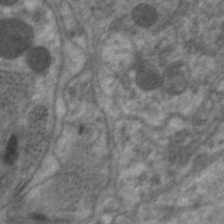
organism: C. elegans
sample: Pharynx